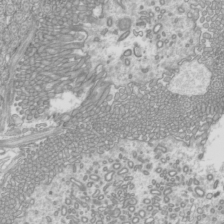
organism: Mouse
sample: Cilia; mouse epididymis